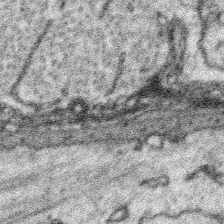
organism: Platynereis dumerilii